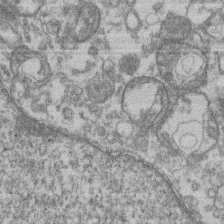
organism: Mouse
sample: T cell stromal cell synapse